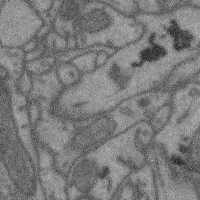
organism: Mouse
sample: Cerebral cortex